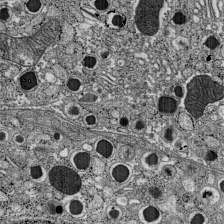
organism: C57BL Mouse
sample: Pancreatic islet